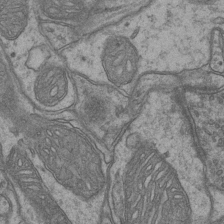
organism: Mouse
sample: CA1 Hippocampus